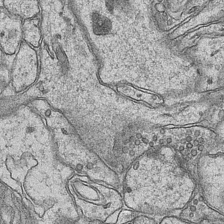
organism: Mouse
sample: CA1 Hippocampus